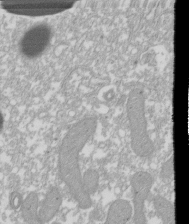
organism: Xenopus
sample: Cilia; centrioles in frog embryo cells